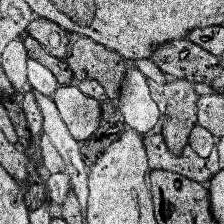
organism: Human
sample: Temporal Lobe